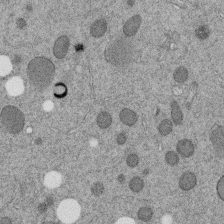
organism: C. elegans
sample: C. elegans embryo early stage